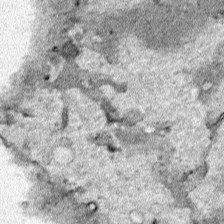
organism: Human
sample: Mitochondria in HCT116 cells